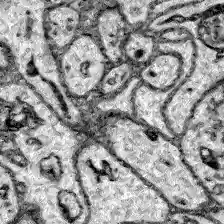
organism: Zebrafish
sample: Brain